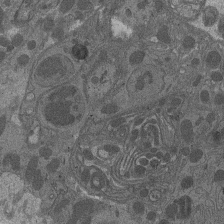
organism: Drosophila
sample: Antenna